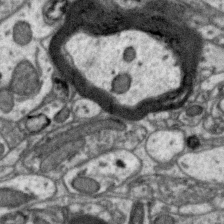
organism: Zebra finch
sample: Brain